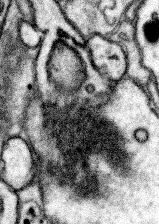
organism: Mouse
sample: Somatosensory cortex neuropil